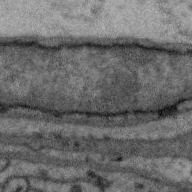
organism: Zebra finch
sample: Brain